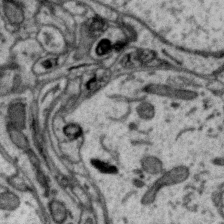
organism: Zebra finch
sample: Brain